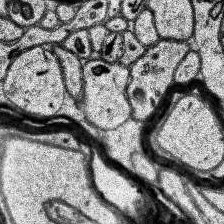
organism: Human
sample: Temporal Lobe